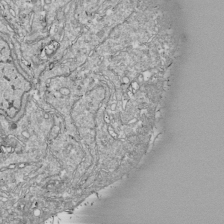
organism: Drosophila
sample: Cell division; meiosis; drosophila spermatocytes